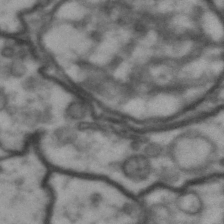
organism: Drosophila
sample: Brain